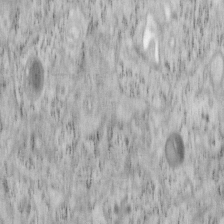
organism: Human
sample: HeLa cells